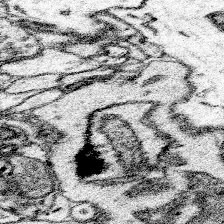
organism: Mouse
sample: Somatosensory cortex neuropil